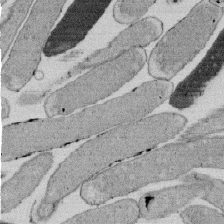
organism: E. coli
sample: Bacterial nucleoid